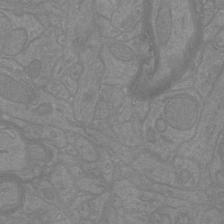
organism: Mouse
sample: Cortical neurons